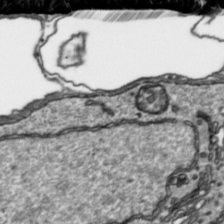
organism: Toxoplasma gondii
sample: Parasites in a vacuole inside a host cell